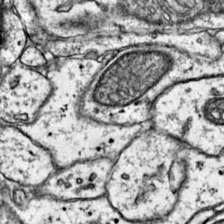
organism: Mouse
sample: Primary visual cortex